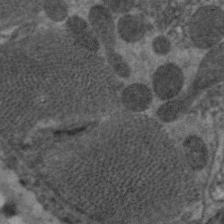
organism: C. elegans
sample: Pharynx